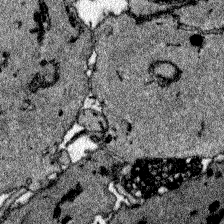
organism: Zebrafish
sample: Larval olfactory bulb